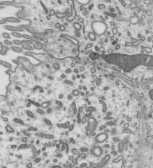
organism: Mouse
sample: Mouse epididymis efferent ductule cilia